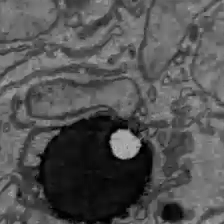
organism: C57BL Mouse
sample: Liver